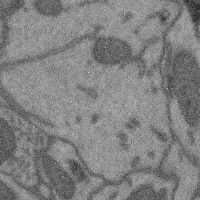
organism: Mouse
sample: Cerebral cortex